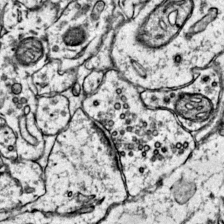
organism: Mouse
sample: Primary visual cortex